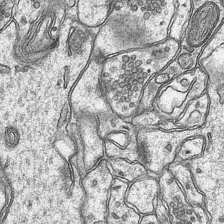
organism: Mouse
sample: CA1 Hippocampus